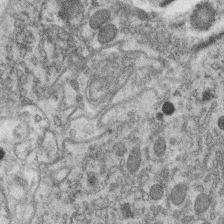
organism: C. elegans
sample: C. elegans oocyte; sperm cells